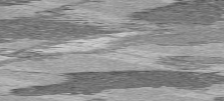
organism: C57BL Mouse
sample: Heart